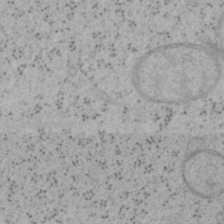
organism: Human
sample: HeLa cells